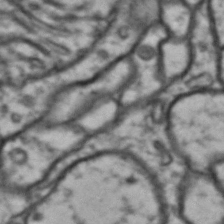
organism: Drosophila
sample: Brain